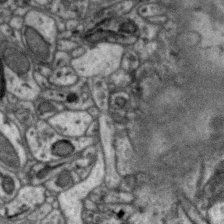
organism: Zebra finch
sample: Brain